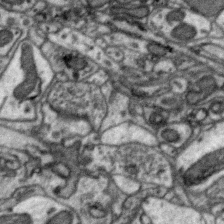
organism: Zebra finch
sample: Brain